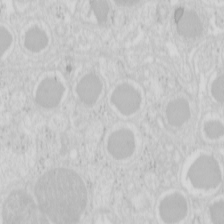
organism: Mouse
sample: Pancreas